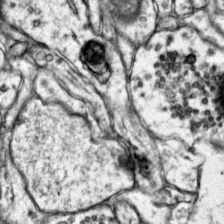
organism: Mouse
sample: Primary visual cortex